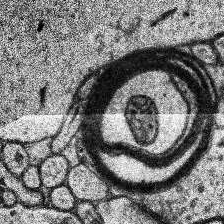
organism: Human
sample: Temporal Lobe